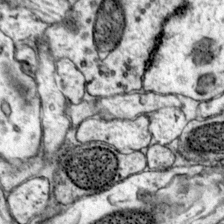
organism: Mouse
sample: Primary visual cortex